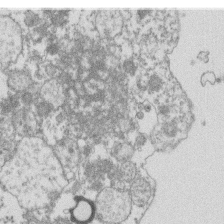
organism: Human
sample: HeLa cell HIV synapse